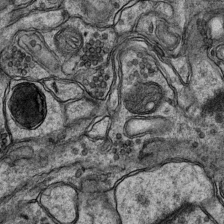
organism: Mouse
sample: CA1 Hippocampus